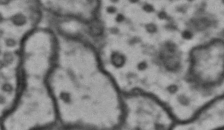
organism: Drosophila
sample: Brain